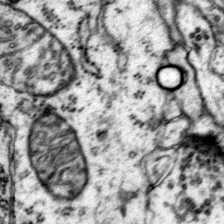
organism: Mouse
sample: Primary visual cortex